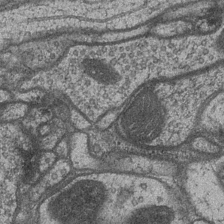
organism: Drosophila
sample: Optic medulla